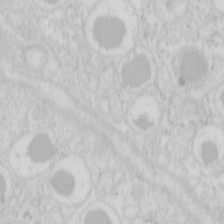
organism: Mouse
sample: Pancreas